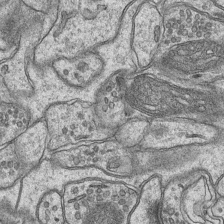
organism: Mouse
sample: CA1 Hippocampus